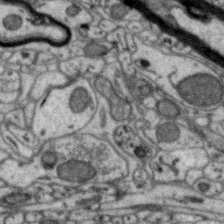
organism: Zebra finch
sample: Brain